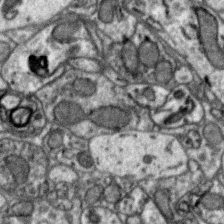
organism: Zebra finch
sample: Brain